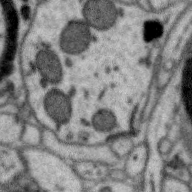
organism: Zebra finch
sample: Brain